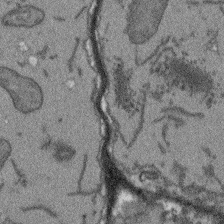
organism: Arabidopsis thaliana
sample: Root tip